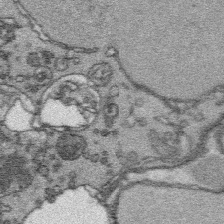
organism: Platynereis dumerilii